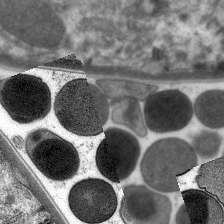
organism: C. elegans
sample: Pharynx